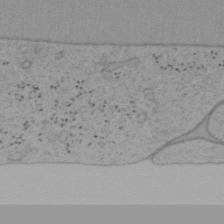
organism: Human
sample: HeLa cells